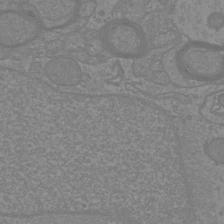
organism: Mouse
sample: Cortical neurons